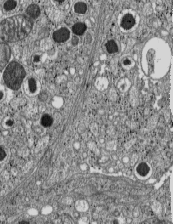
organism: C57BL Mouse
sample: Pancreatic islet